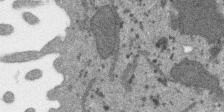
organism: Human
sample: Lung epithelial cells infected with SARS-CoV-2